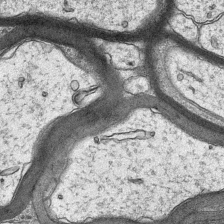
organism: Mouse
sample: CA1 Hippocampus